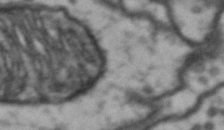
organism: Drosophila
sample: Brain